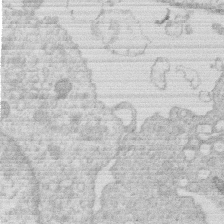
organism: Human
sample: Macrophage cells